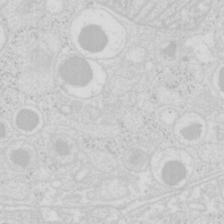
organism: Mouse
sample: Pancreas